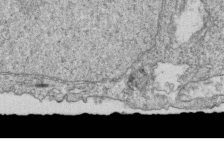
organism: Human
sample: HeLa cell HIV synapse